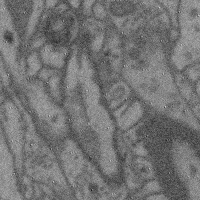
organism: Mouse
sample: Cerebral cortex